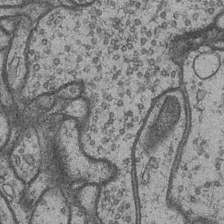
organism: Drosophila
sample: Optic medulla